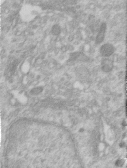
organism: Human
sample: Centriole in RPE cells